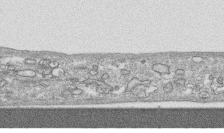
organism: Human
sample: CRL-1474